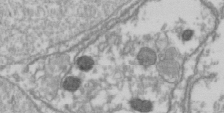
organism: Drosophila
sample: Cell division; meiosis; drosophila spermatocytes